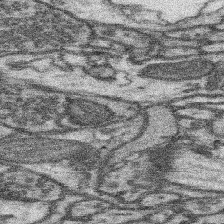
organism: Mouse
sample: Somatosensory cortex neuropil